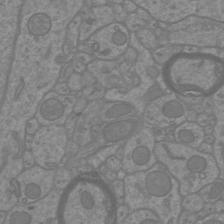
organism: Mouse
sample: Cortical neurons